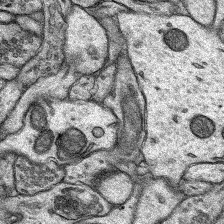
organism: Rat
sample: Hippocampus